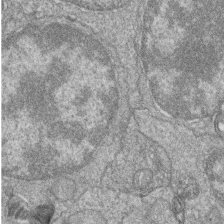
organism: Zebrafish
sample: Cilia; retinal pigment epithelium